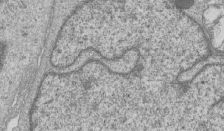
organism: Human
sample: MDA-MB-231 cells